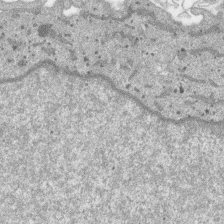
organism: Human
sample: Lung epithelial cells infected with SARS-CoV-2